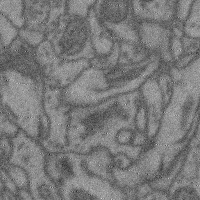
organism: Mouse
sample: Cerebral cortex